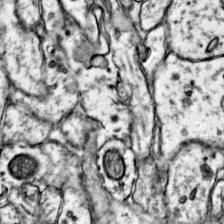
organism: Mouse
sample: Primary visual cortex